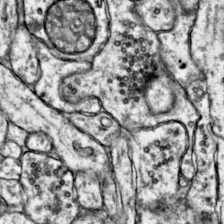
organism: Mouse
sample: Primary visual cortex